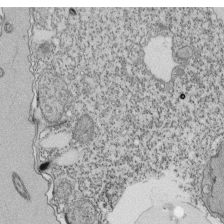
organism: Tetrahymena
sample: Cilia in tetrahymena